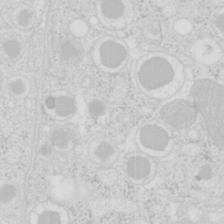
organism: Mouse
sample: Pancreas